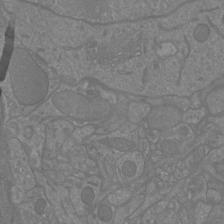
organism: Mouse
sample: Cortical neurons